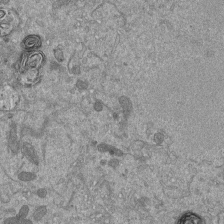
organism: Mouse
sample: ED-1 cell nuclei; centrioles